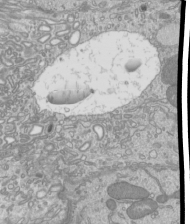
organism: Mouse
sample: Cilia; mouse epididymis